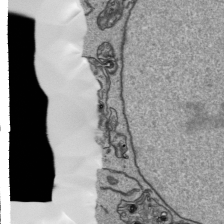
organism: Human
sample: Mitochondria in HCT116 cells